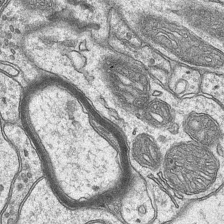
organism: Mouse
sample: CA1 Hippocampus